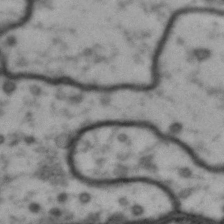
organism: Drosophila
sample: Brain